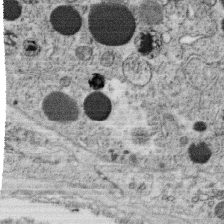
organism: C. elegans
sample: C. elegans oocyte; sperm cells